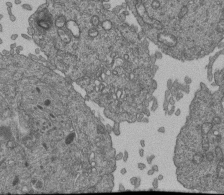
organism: Human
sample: Retinal organoid Rod and Cone cells